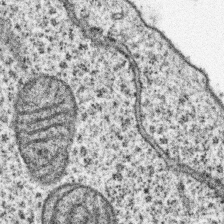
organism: Human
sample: HeLa cells